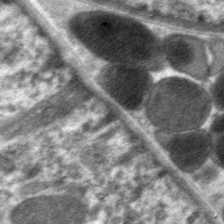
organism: C. elegans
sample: Pharynx